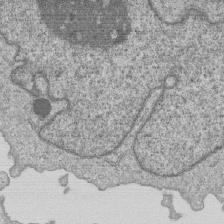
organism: Human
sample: MDA-MB-231 cells